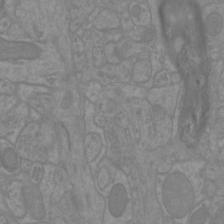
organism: Mouse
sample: Cortical neurons